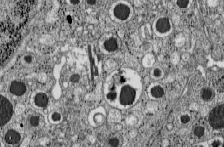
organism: C57BL Mouse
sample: Pancreatic islet